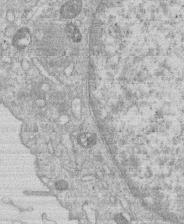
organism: Human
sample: Macrophage cells